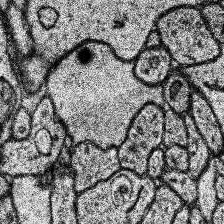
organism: Human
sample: Temporal Lobe